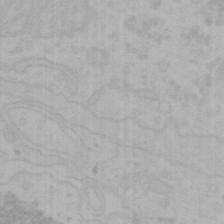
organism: Mouse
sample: Choroid plexus